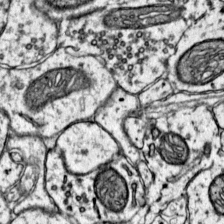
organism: Mouse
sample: Primary visual cortex